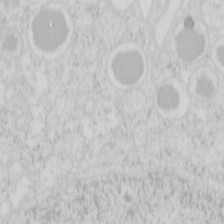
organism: Mouse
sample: Pancreas